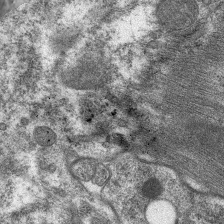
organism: C. elegans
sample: Pharynx